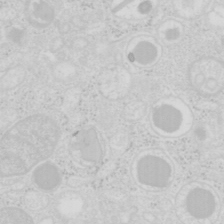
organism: Mouse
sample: Pancreas